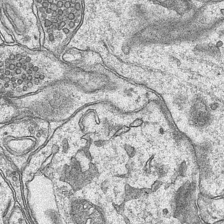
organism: Mouse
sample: CA1 Hippocampus